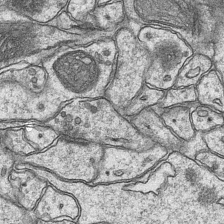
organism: Mouse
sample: CA1 Hippocampus